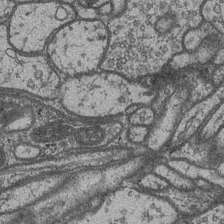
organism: Drosophila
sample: Optic medulla